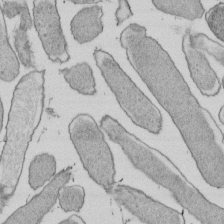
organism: E. coli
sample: Bacterial nucleoid